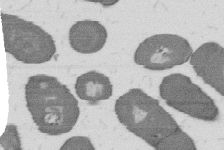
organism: B. subtilis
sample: Bacterial spore